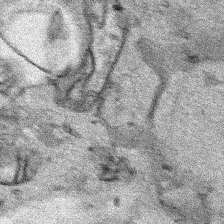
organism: Human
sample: Mitochondria in HCT116 cells